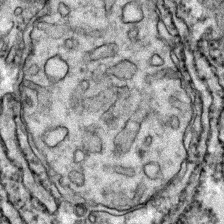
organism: Zebrafish